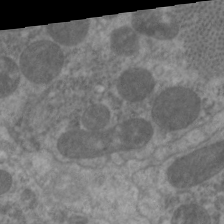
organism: C. elegans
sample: Pharynx